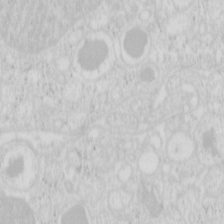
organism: Mouse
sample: Pancreas